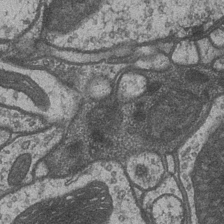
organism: Drosophila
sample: Optic medulla